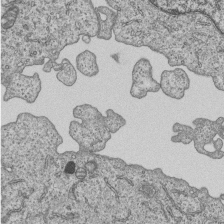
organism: Human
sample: MDA-MB-231 cells